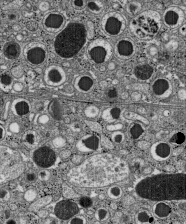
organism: C57BL Mouse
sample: Pancreatic islet